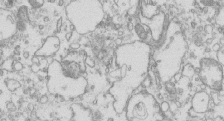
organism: Mouse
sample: Macrophages